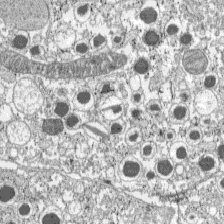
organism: C57BL Mouse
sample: Pancreatic islet